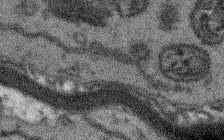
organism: Arabidopsis thaliana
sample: Root tip